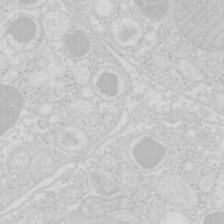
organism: Mouse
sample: Pancreas